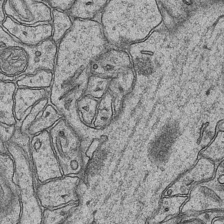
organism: Mouse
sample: CA1 Hippocampus